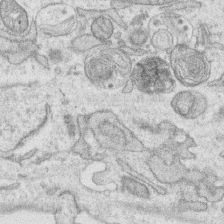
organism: Human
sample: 1205lu cells